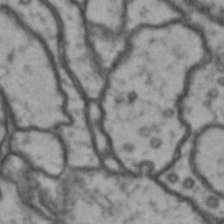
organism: Drosophila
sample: Brain